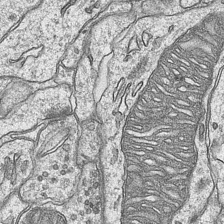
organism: Mouse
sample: CA1 Hippocampus